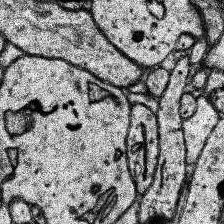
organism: Human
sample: Temporal Lobe